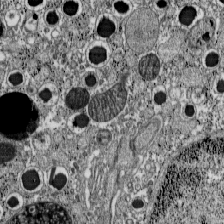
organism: C57BL Mouse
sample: Pancreatic islet